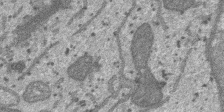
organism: Human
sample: Lung epithelial cells infected with SARS-CoV-2